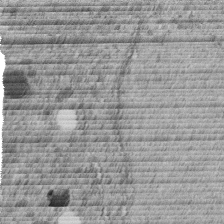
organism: C. elegans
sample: C. elegans embryo early stage